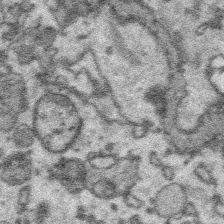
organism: Platynereis dumerilii